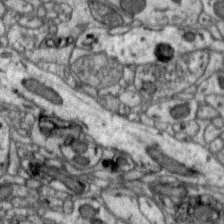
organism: Zebra finch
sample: Brain